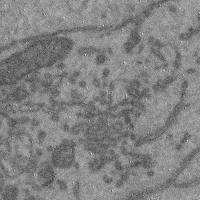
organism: Mouse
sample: Cerebral cortex